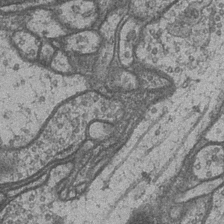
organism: Drosophila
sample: Optic medulla